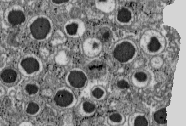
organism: C57BL Mouse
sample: Pancreatic islet